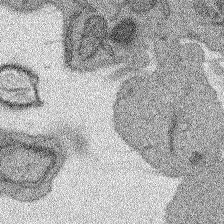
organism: Human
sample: HeLa cells